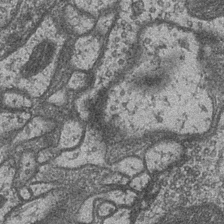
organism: Drosophila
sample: Optic medulla